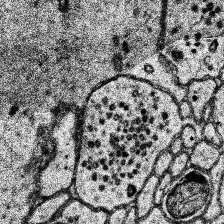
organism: Human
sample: Temporal Lobe